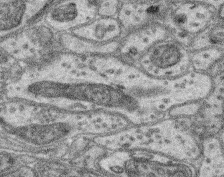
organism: Mouse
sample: Retina